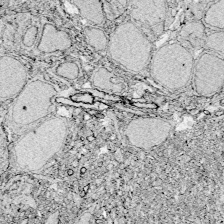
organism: Zebrafish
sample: Whole-Brain